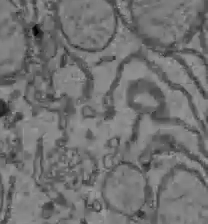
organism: C57BL Mouse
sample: Liver